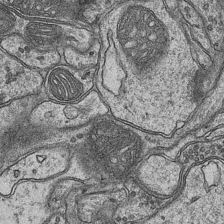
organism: Mouse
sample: CA1 Hippocampus